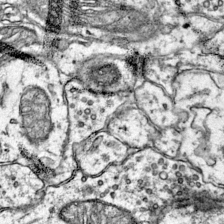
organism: Mouse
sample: Primary visual cortex